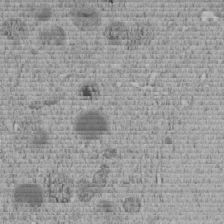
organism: C. elegans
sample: C. elegans embryo early stage